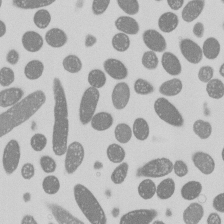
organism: E. coli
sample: Bacterial nucleoid